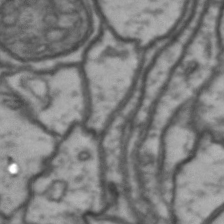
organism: Drosophila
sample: Brain